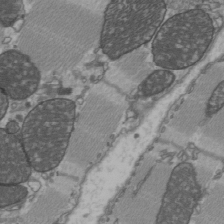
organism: C57BL Mouse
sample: Heart